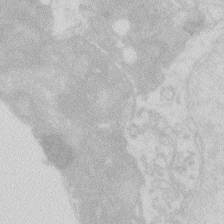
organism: Zebrafish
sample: Macrophage